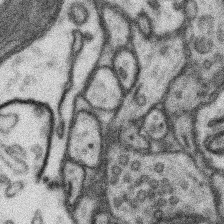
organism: Mouse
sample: Somatosensory cortex neuropil